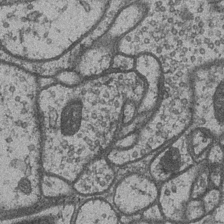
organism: Drosophila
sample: Optic medulla